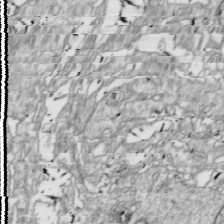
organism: Drosophila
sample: Cell division; meiosis; drosophila spermatocytes